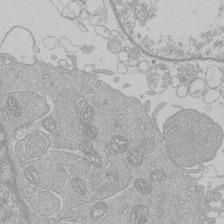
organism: Human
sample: Macrophage cells